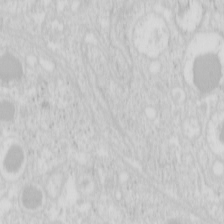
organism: Mouse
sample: Pancreas